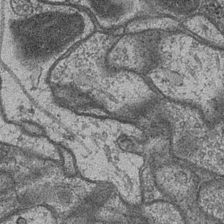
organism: Drosophila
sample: Optic medulla